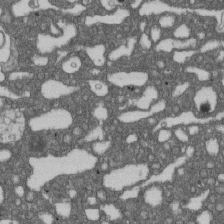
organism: Drosophila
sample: Nephrocyte